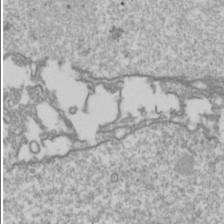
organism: Drosophila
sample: Cell division; meiosis; drosophila spermatocytes